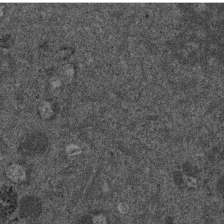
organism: Mouse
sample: Dividing mouse embryo 1 cell stage